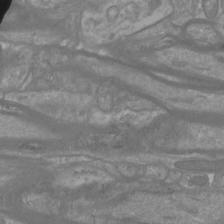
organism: Mouse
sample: Cortical neurons